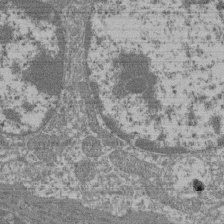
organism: Mouse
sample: Glomerulus